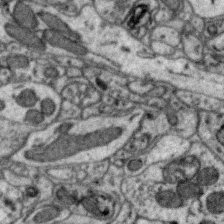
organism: Zebra finch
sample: Brain